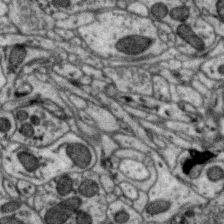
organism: Zebra finch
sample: Brain